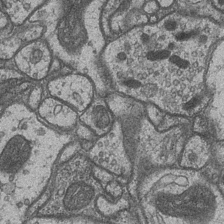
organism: Drosophila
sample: Optic medulla